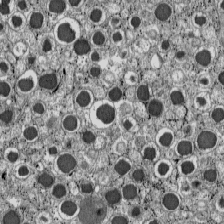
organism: C57BL Mouse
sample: Pancreatic islet